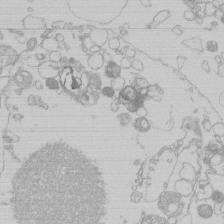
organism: Human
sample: Macrophage cells